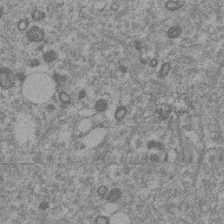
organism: Mouse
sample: Dividing mouse embryo 1 cell stage